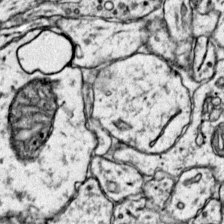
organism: Mouse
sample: Primary visual cortex